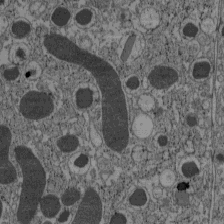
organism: C57BL Mouse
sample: Pancreatic islet